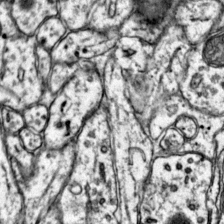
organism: Mouse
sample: Primary visual cortex